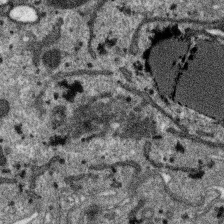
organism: Human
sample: Lung epithelial cells infected with SARS-CoV-2